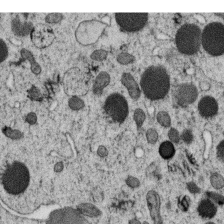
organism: C. elegans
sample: C. elegans oocyte; sperm cells